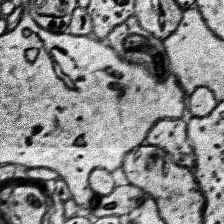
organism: Human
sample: Temporal Lobe